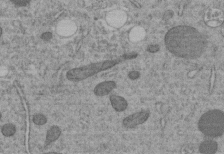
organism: C. elegans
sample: C. elegans embryo early stage